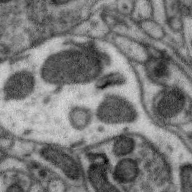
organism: Zebra finch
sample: Brain